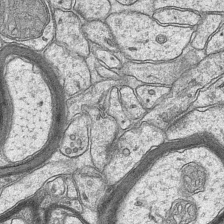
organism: Mouse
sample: CA1 Hippocampus